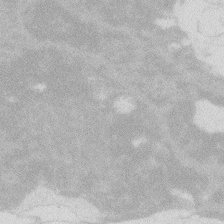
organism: Zebrafish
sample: Macrophage